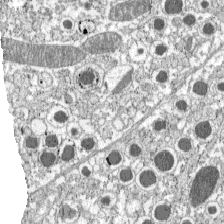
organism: C57BL Mouse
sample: Pancreatic islet